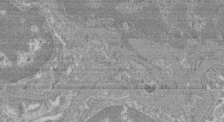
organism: Mouse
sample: Glomerulus